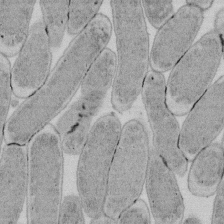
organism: E. coli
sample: Bacterial nucleoid